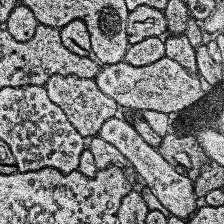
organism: Human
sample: Temporal Lobe